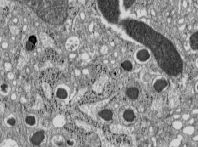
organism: C57BL Mouse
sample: Pancreatic islet